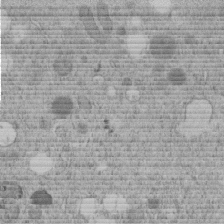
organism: C. elegans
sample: C. elegans embryo early stage